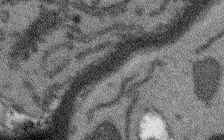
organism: Arabidopsis thaliana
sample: Root tip